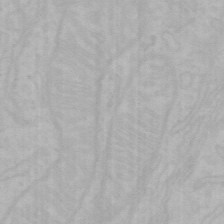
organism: Mouse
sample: Choroid plexus